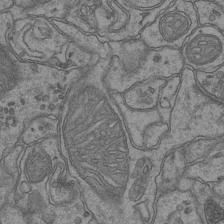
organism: Mouse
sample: CA1 Hippocampus